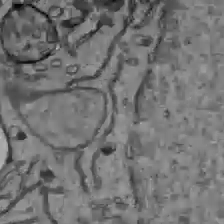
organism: C57BL Mouse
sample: Liver